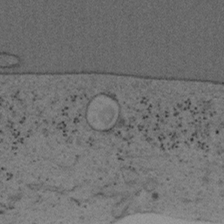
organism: Human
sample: HeLa cells